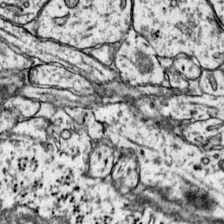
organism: Mouse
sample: Primary visual cortex